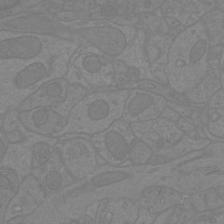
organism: Mouse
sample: Cortical neurons